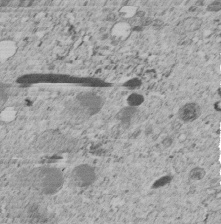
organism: C. elegans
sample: C. elegans embryo early stage